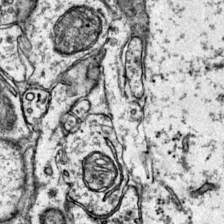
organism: Mouse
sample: Primary visual cortex